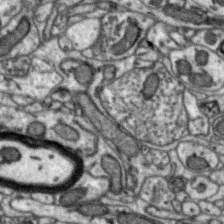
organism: Zebra finch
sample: Brain